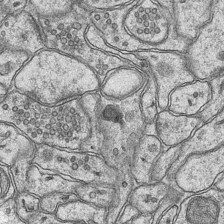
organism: Mouse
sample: CA1 Hippocampus